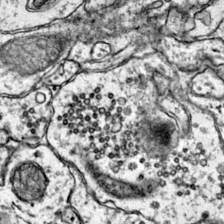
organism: Mouse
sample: Primary visual cortex